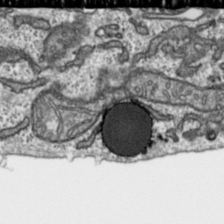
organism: Toxoplasma gondii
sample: Parasites in a vacuole inside a host cell